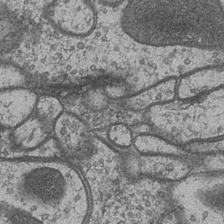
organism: Drosophila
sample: Optic medulla